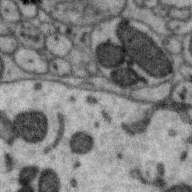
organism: Zebra finch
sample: Brain